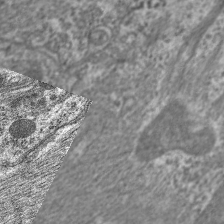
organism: C. elegans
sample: Pharynx